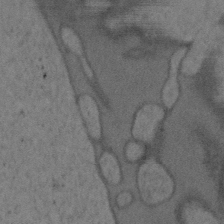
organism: Human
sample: HeLa cells